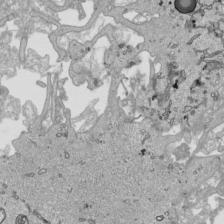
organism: Human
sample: Mitochondria in HCT116 cells